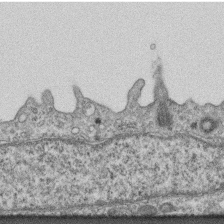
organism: Mouse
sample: Centriole in ependymal cells